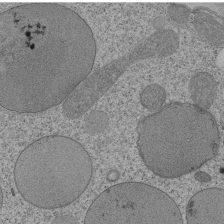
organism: Tetrahymena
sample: Cilia in tetrahymena